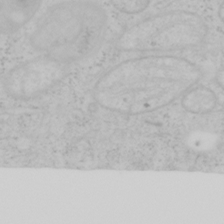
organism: Mouse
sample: OT-I killer T cells with ID8 ovarian cancer cells